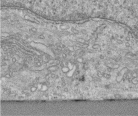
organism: Human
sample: Centriole in RPE cells